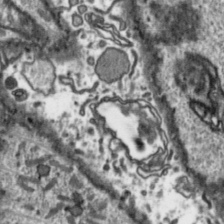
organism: Toxoplasma gondii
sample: Parasites in a vacuole inside a host cell